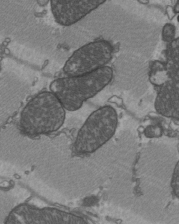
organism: C57BL Mouse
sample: Heart